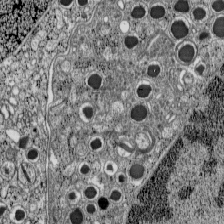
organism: C57BL Mouse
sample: Pancreatic islet